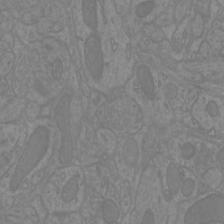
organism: Mouse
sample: Cortical neurons